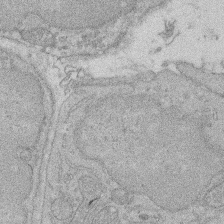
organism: Rat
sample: Salivary granule